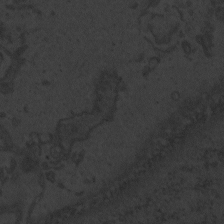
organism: Zebrafish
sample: Macrophage infected with Toxoplasma gondii